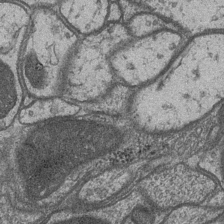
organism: Drosophila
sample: Optic medulla